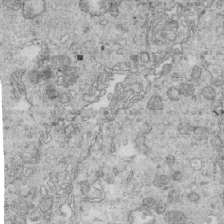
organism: Mouse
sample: Multiciliated cells